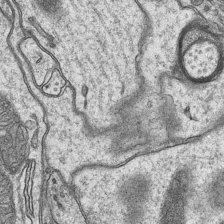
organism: Mouse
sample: CA1 Hippocampus